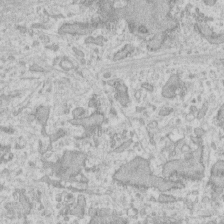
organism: Human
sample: Fibroblast cells